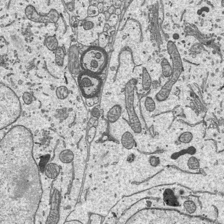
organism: Mouse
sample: Suprachiasmatic nucleus